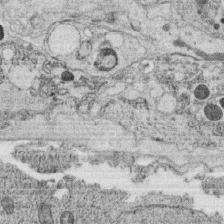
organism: C. elegans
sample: C. elegans oocyte; sperm cells